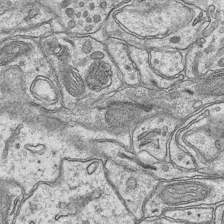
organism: Mouse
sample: CA1 Hippocampus